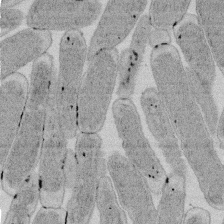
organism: E. coli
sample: Bacterial nucleoid